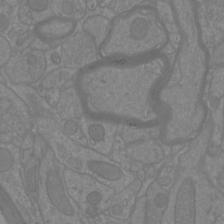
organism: Mouse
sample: Cortical neurons